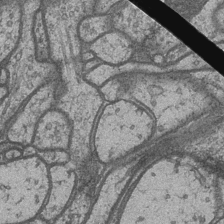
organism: Drosophila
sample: Optic medulla